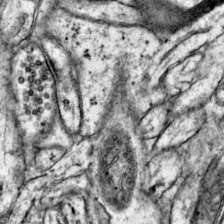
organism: Mouse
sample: Primary visual cortex